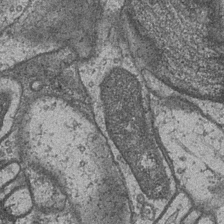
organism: Drosophila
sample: Optic medulla